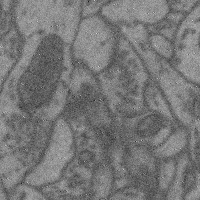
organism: Mouse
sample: Cerebral cortex